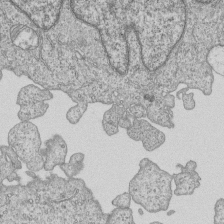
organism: Human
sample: MDA-MB-231 cells